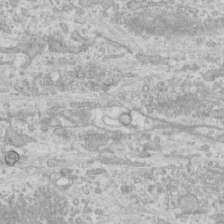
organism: Human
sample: CRL-1474